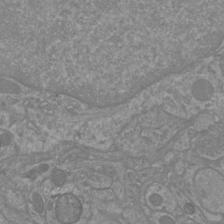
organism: Mouse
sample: Cortical neurons